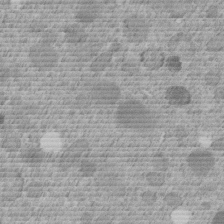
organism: C. elegans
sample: C. elegans embryo early stage